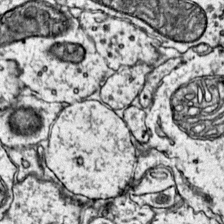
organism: Mouse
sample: Primary visual cortex